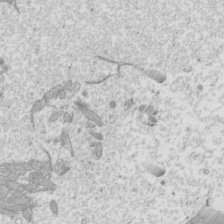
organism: Mouse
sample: Cilia; mouse epididymis